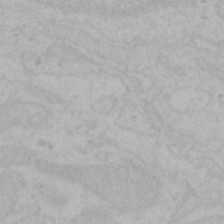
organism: Mouse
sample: Choroid plexus